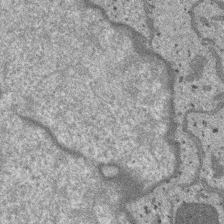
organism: Human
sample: Lung epithelial cells infected with SARS-CoV-2